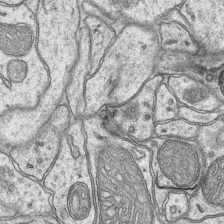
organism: Mouse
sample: CA1 Hippocampus